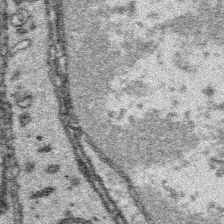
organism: Platynereis dumerilii